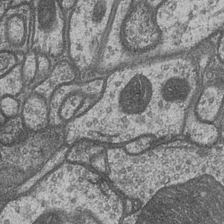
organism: Drosophila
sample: Optic medulla